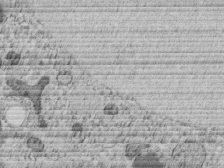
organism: C. elegans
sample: C. elegans embryo early stage